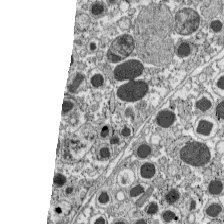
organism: C57BL Mouse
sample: Pancreatic islet